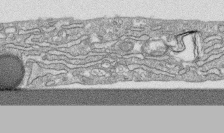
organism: Human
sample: CRL-1474